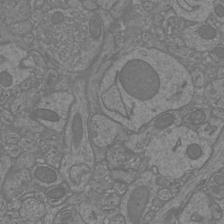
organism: Mouse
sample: Cortical neurons